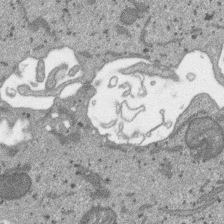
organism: Human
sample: Lung epithelial cells infected with SARS-CoV-2